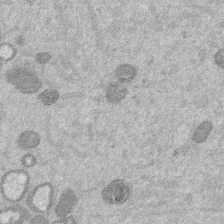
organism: Mouse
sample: Dividing mouse embryo 1 cell stage